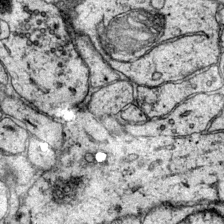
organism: Mouse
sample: Primary visual cortex